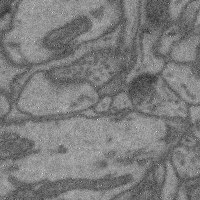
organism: Mouse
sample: Cerebral cortex